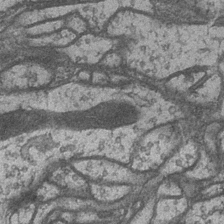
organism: Drosophila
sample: Optic medulla